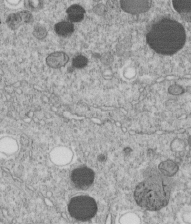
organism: C. elegans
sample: C. elegans embryo early stage